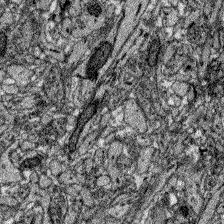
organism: Zebrafish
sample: Larval olfactory bulb